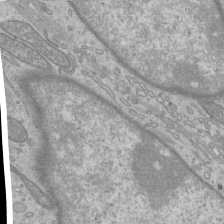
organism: Mouse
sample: Cilia; mouse epididymis